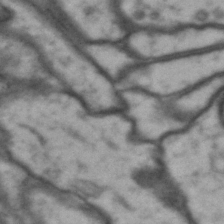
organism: Drosophila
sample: Brain